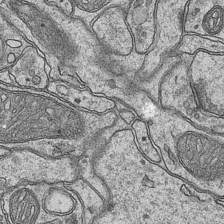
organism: Mouse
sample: CA1 Hippocampus